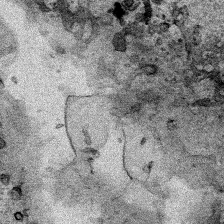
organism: Human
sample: Mitochondria in HCT116 cells